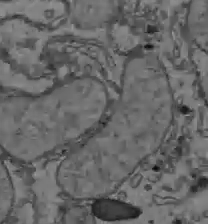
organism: C57BL Mouse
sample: Liver